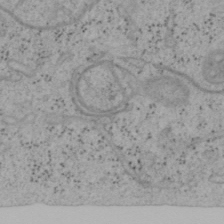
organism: Human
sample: HeLa cells